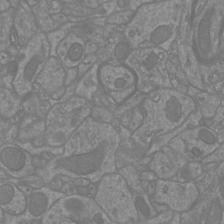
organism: Mouse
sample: Cortical neurons